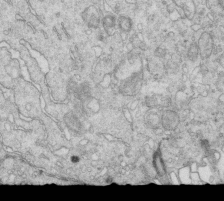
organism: Mouse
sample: Multiciliated cells